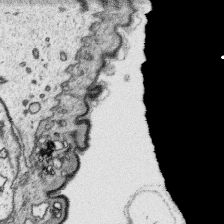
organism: Platynereis dumerilii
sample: Parapodia